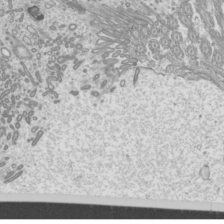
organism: Mouse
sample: Cilia; mouse epididymis